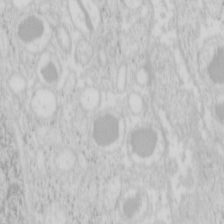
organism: Mouse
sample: Pancreas